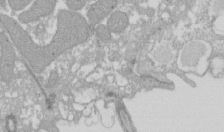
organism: Xenopus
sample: Cilia; centrioles in frog embryo cells